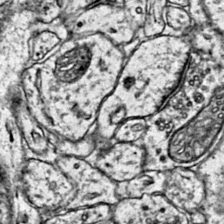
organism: Mouse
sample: Primary visual cortex